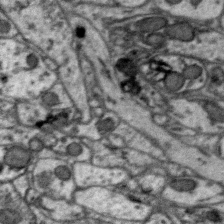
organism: Zebra finch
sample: Brain